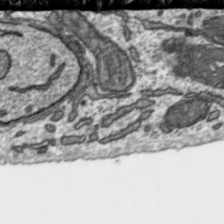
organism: Toxoplasma gondii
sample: Parasites in a vacuole inside a host cell